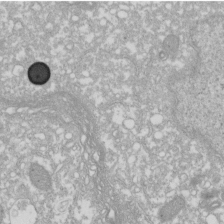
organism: Xenopus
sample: Cilia; centrioles in frog embryo cells